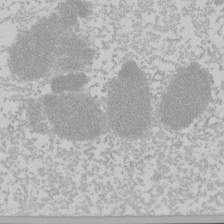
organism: Mouse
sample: Cancer cell death in ED-1 cells